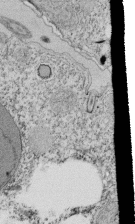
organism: Tetrahymena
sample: Cilia in tetrahymena